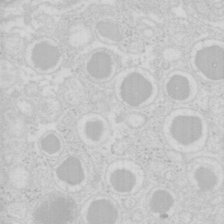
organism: Mouse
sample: Pancreas